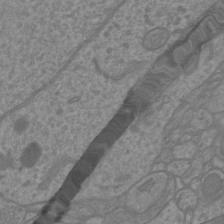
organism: Mouse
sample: Cortical neurons